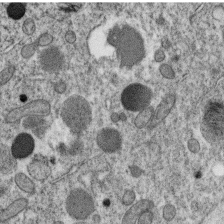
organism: C. elegans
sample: C. elegans oocyte; sperm cells